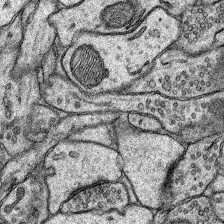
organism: Rat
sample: Hippocampus